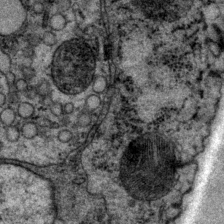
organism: P. pacificus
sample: Pharynx